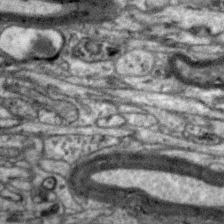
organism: Zebra finch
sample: Brain